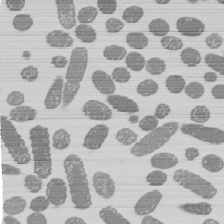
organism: E. coli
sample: Bacterial nucleoid